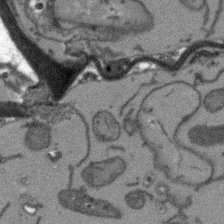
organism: Arabidopsis thaliana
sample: Root tip